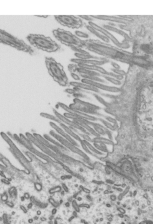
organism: Mouse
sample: Mouse epididymis efferent ductule cilia